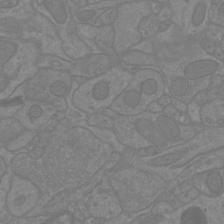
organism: Mouse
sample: Cortical neurons